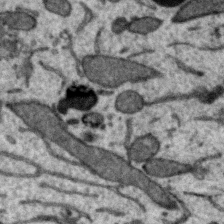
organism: Zebra finch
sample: Brain